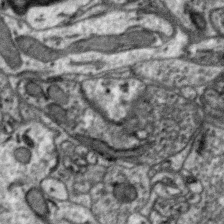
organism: Zebra finch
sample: Brain